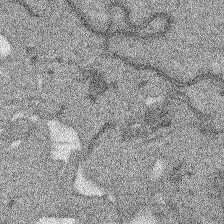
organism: Human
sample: HeLa cells